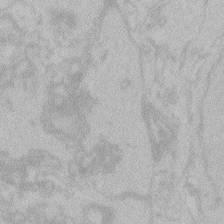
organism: Zebrafish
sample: Macrophage infected with Toxoplasma gondii